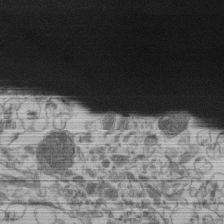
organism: Human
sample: Retinal organoid Rod and Cone cells